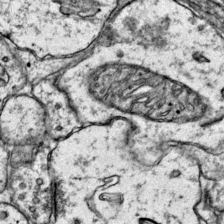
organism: Mouse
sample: Primary visual cortex